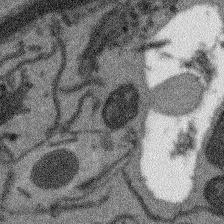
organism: Arabidopsis thaliana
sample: Root tip